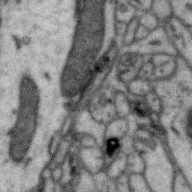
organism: Zebra finch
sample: Brain